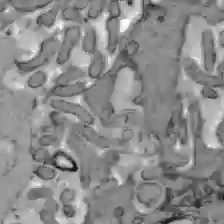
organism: C57BL Mouse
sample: Liver